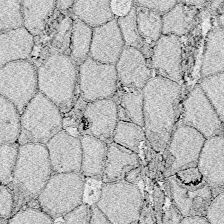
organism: Zebrafish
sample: Whole-Brain